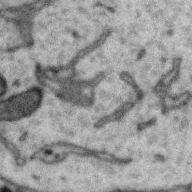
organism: Zebra finch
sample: Brain